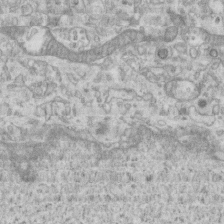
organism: Mouse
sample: Centriole in ependymal cells